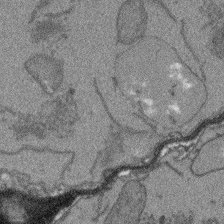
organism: Arabidopsis thaliana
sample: Root tip